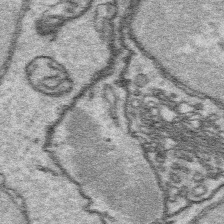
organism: Platynereis dumerilii